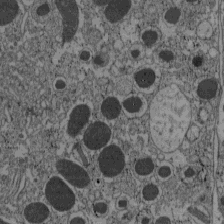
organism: C57BL Mouse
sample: Pancreatic islet